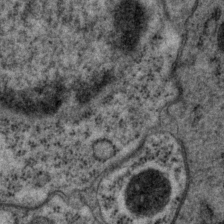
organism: P. pacificus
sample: Pharynx